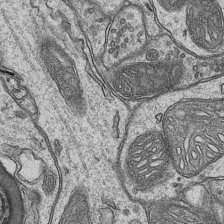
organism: Mouse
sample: CA1 Hippocampus